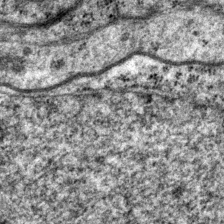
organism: P. pacificus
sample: Pharynx